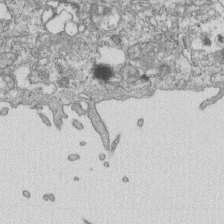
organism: Human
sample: HeLa cell HIV synapse